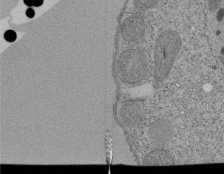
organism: Tetrahymena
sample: Cilia in tetrahymena